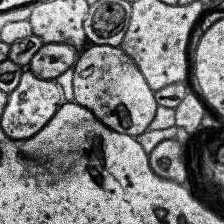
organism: Human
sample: Temporal Lobe